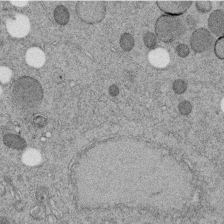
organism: C. elegans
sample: C. elegans embryo early stage